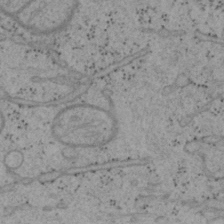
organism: Human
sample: HeLa cells